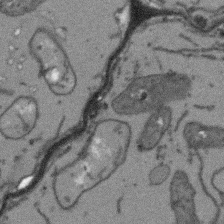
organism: Arabidopsis thaliana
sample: Root tip